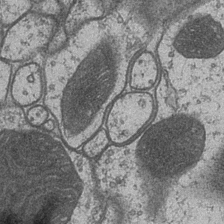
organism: Drosophila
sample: Optic medulla